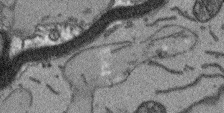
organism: Arabidopsis thaliana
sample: Root tip